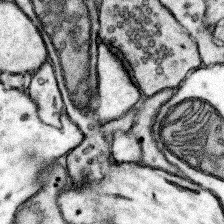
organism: Mouse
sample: Somatosensory cortex neuropil